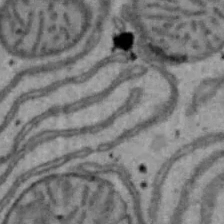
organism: Mouse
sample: Liver